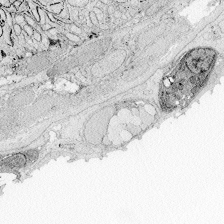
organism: Zebrafish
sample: Whole-Brain